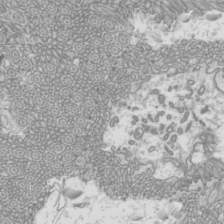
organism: Mouse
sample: Cilia; mouse epididymis